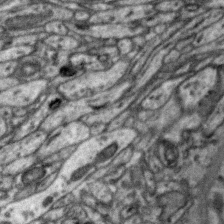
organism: Zebra finch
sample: Brain